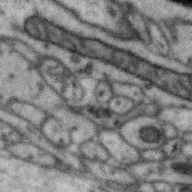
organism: Zebra finch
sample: Brain